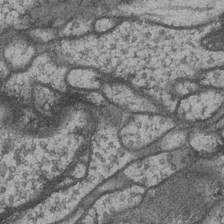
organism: Drosophila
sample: Optic medulla